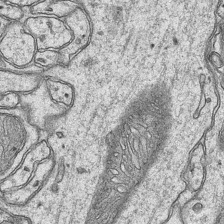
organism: Mouse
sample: CA1 Hippocampus